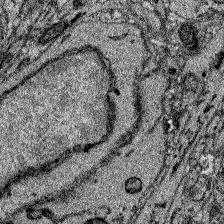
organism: Zebrafish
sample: Larval olfactory bulb